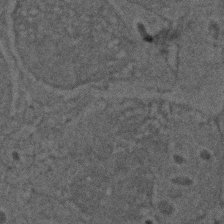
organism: Zebrafish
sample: Zebrafish embryo